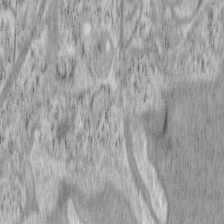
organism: Human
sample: HeLa cells